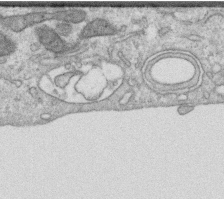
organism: Human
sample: Centriole in RPE cells